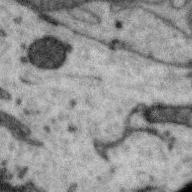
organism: Zebra finch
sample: Brain